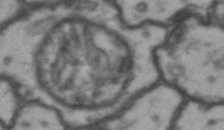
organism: Drosophila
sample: Brain